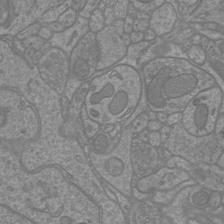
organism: Mouse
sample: Cortical neurons